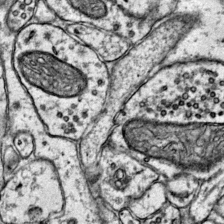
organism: Mouse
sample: Primary visual cortex